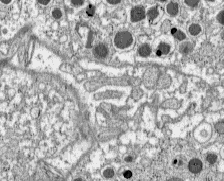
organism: C57BL Mouse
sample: Pancreatic islet